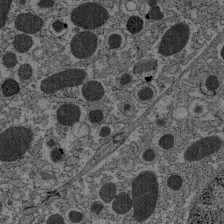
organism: C57BL Mouse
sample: Pancreatic islet